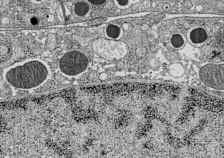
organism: C57BL Mouse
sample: Pancreatic islet